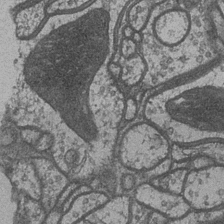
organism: Drosophila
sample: Optic medulla